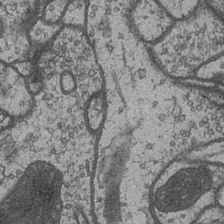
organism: Drosophila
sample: Optic medulla